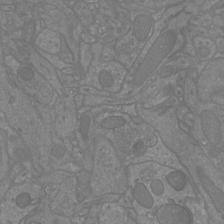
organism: Mouse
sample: Cortical neurons